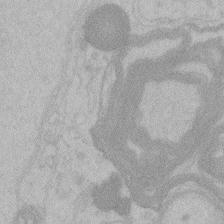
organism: Zebrafish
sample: Macrophage infected with Toxoplasma gondii